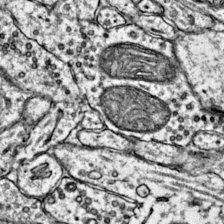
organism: Mouse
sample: Primary visual cortex